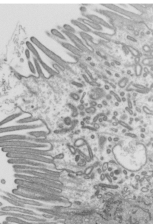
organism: Mouse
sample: Mouse epididymis efferent ductule cilia